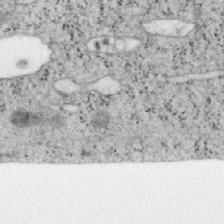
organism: Mouse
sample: OT-I killer T cells with ID8 ovarian cancer cells